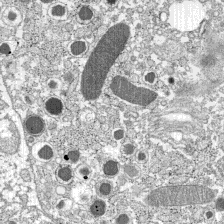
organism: C57BL Mouse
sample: Pancreatic islet